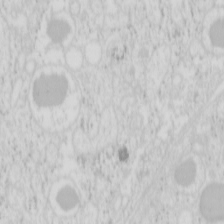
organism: Mouse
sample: Pancreas